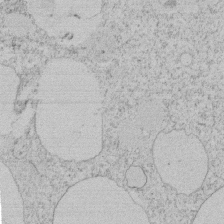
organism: Tetrahymena